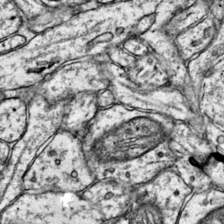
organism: Mouse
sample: Primary visual cortex